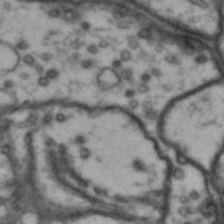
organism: Drosophila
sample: Brain